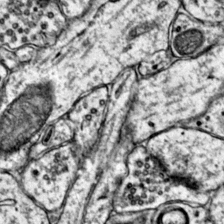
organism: Mouse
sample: Primary visual cortex